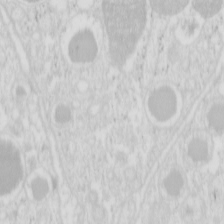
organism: Mouse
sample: Pancreas